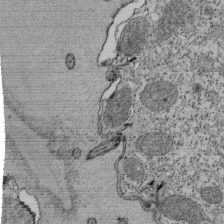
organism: Tetrahymena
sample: Cilia in tetrahymena